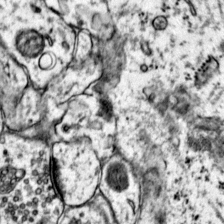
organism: Mouse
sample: Primary visual cortex